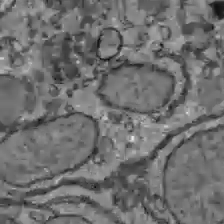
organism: C57BL Mouse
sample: Liver